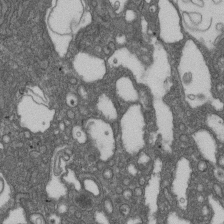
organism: Drosophila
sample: Nephrocyte